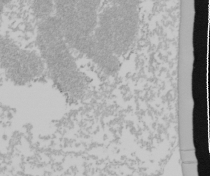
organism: Mouse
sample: Cancer cell death in ED-1 cells